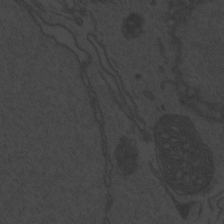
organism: Zebrafish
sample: Macrophage infected with Toxoplasma gondii